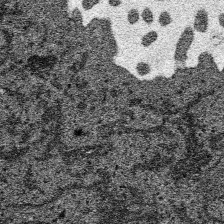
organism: Human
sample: Lung epithelial cells infected with SARS-CoV-2